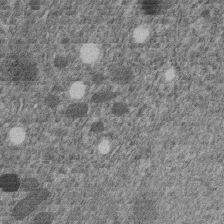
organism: C. elegans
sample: C. elegans embryo early stage